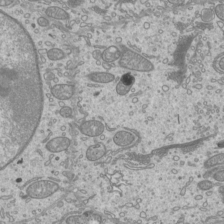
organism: Mouse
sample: Cilia; mouse epididymis